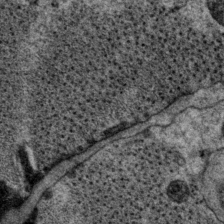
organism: P. pacificus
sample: Pharynx